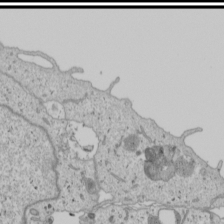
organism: Human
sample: Mitochondria in U2OS cells